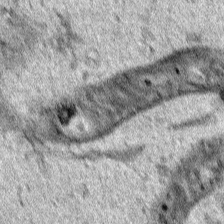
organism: Human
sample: Mitochondria in HCT116 cells